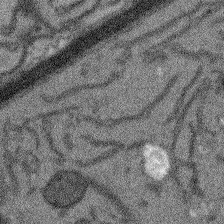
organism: Arabidopsis thaliana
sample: Root tip